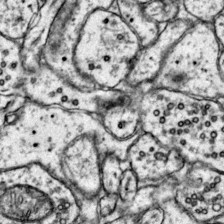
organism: Mouse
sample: Primary visual cortex